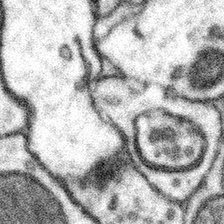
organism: Mouse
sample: Somatosensory cortex neuropil